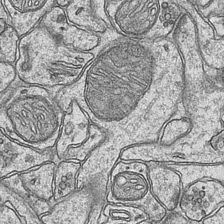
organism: Mouse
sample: CA1 Hippocampus